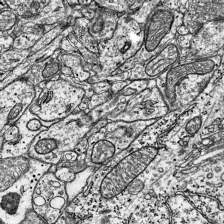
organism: Mouse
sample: Visual Cortex